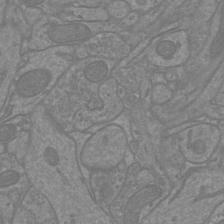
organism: Mouse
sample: Cortical neurons